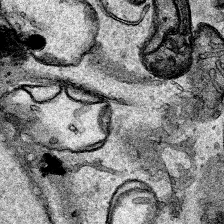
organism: Human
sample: Mitochondria in HCT116 cells